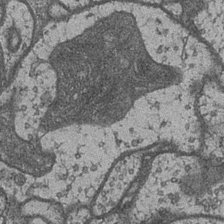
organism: Drosophila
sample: Optic medulla